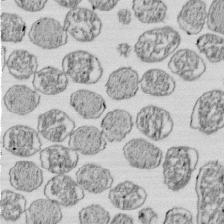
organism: E. coli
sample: Bacterial nucleoid